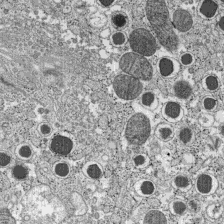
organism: C57BL Mouse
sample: Pancreatic islet